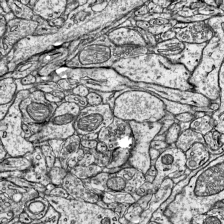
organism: Mouse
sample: Visual Cortex